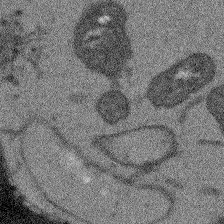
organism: Arabidopsis thaliana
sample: Root tip